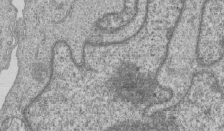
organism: Human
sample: MDA-MB-231 cells